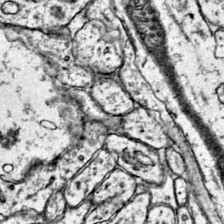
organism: Mouse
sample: Primary visual cortex